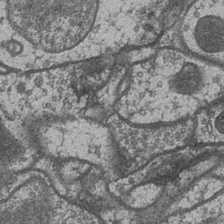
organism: Drosophila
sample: Optic medulla